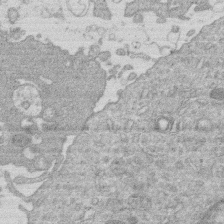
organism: Human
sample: Macrophage cells